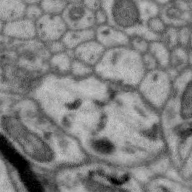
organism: Zebra finch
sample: Brain